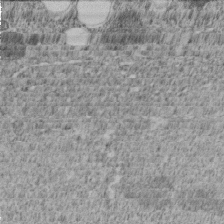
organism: C. elegans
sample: C. elegans embryo early stage